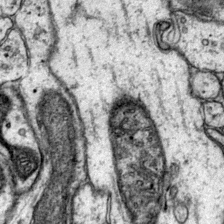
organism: Mouse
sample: Primary visual cortex